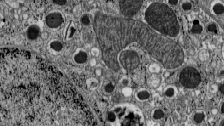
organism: C57BL Mouse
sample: Pancreatic islet